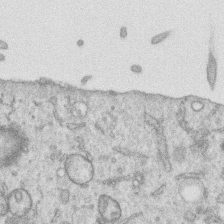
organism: Human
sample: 1205lu cells